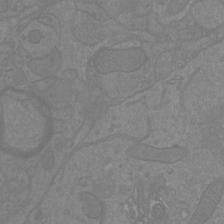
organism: Mouse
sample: Cortical neurons